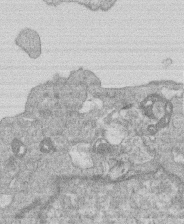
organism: Human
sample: Macrophage cells